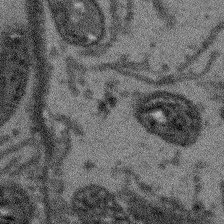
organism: Arabidopsis thaliana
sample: Root tip